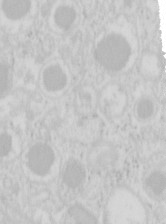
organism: Mouse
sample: Pancreas